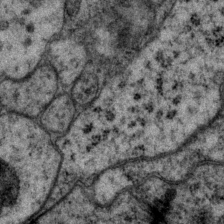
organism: P. pacificus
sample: Pharynx